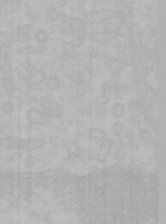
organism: Mouse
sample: Choroid plexus